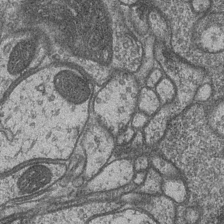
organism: Drosophila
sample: Optic medulla